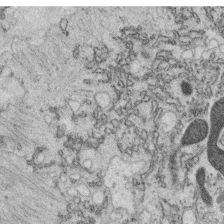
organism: C. elegans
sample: C. elegans oocyte; sperm cells